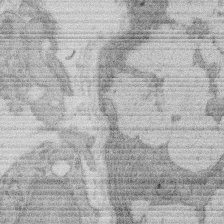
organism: Rat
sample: Salivary granule